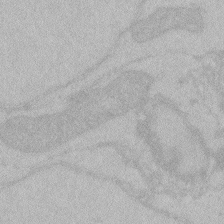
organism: Zebrafish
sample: Macrophage infected with Toxoplasma gondii